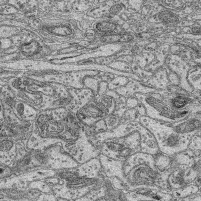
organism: Mouse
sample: Retina